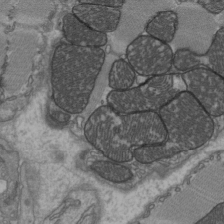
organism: C57BL Mouse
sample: Heart